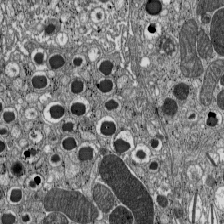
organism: C57BL Mouse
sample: Pancreatic islet